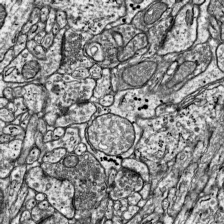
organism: Mouse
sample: Visual Cortex